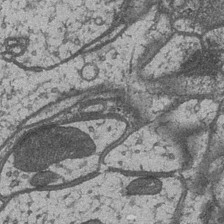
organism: Drosophila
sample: Optic medulla